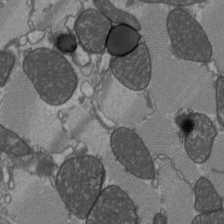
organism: C57BL Mouse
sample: Heart